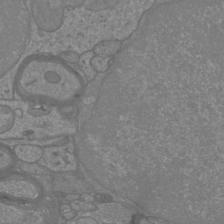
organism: Mouse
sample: Cortical neurons